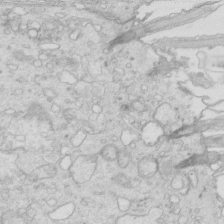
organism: Mouse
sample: Multiciliated cells